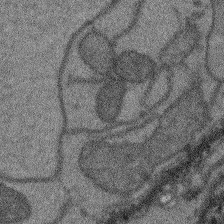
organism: Arabidopsis thaliana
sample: Root tip